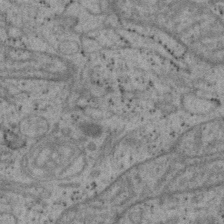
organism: Human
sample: HeLa cells